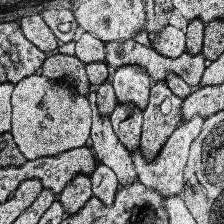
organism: Human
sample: Temporal Lobe